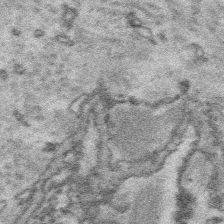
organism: Platynereis dumerilii